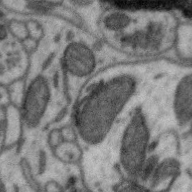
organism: Zebra finch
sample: Brain